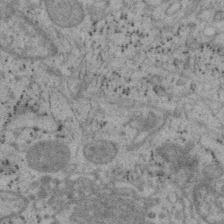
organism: Human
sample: HeLa cells